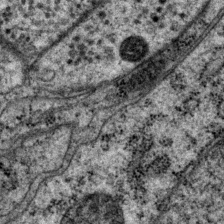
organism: P. pacificus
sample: Pharynx